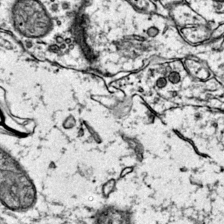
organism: Mouse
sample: Primary visual cortex